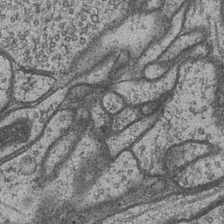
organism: Drosophila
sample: Optic medulla